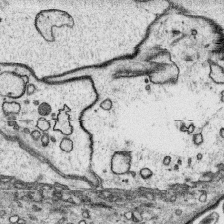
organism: Platynereis dumerilii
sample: Parapodia